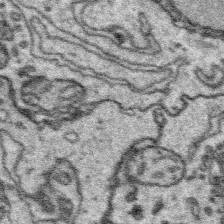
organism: Platynereis dumerilii